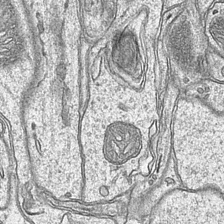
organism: Mouse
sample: CA1 Hippocampus